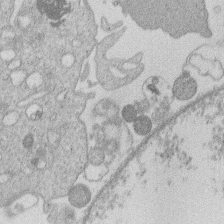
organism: Human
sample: Macrophage cells